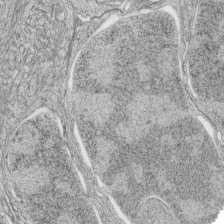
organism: Zebrafish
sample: synaptic ribbons in rod cells and cone cells